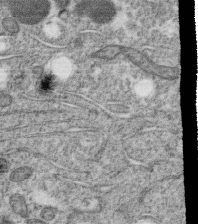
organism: C. elegans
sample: C. elegans oocyte; sperm cells